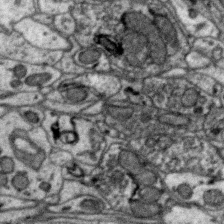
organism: Zebra finch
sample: Brain